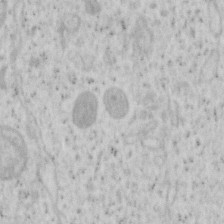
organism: Human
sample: HeLa cells